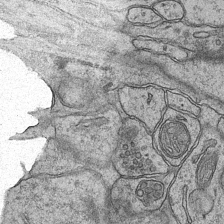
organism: Mouse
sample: CA1 Hippocampus